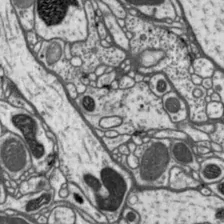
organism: Drosophila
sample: Protocerebral bridge